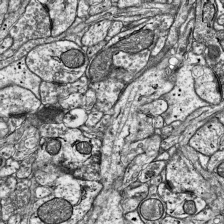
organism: Mouse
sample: Visual Cortex